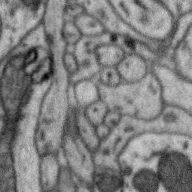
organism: Zebra finch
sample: Brain